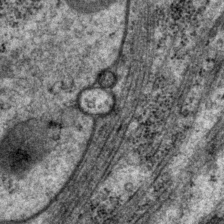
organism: P. pacificus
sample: Pharynx